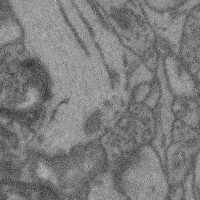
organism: Mouse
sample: Cerebral cortex